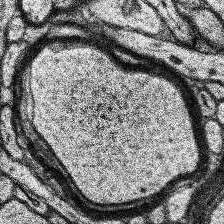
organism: Human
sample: Temporal Lobe